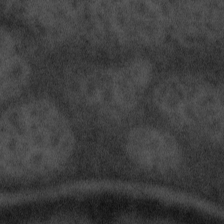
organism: Tuwongella immobilis